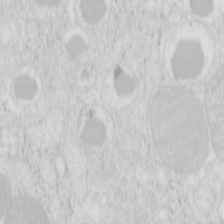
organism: Mouse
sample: Pancreas